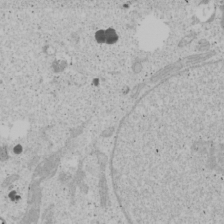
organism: Human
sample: Mitochondria in U2OS cells